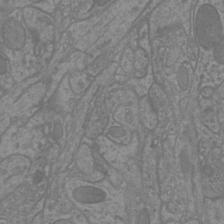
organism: Mouse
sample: Cortical neurons